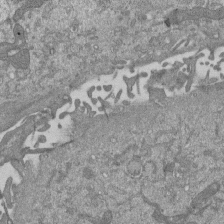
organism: Mouse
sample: ED-1 cell nuclei; centrioles